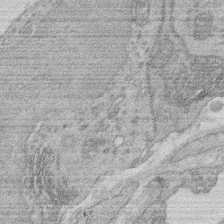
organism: Rat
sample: Salivary granule